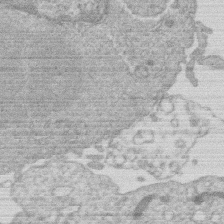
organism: Human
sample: Macrophage cells